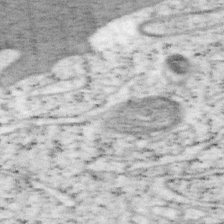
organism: Mouse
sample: OT-I killer T cells with ID8 ovarian cancer cells